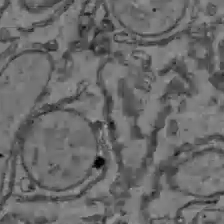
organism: C57BL Mouse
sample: Liver